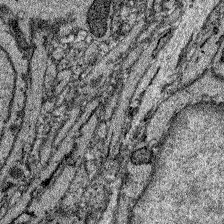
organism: Zebrafish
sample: Larval olfactory bulb